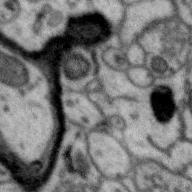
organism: Zebra finch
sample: Brain